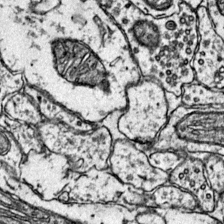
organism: Mouse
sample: Primary visual cortex